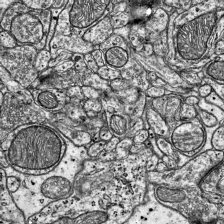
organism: Mouse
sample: Visual Cortex